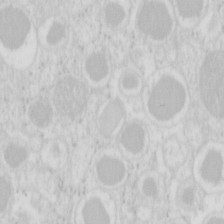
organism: Mouse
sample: Pancreas